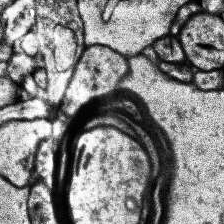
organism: Human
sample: Temporal Lobe